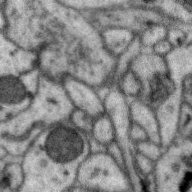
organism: Zebra finch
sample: Brain